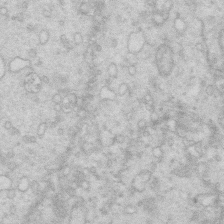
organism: Mouse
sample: Multiciliated cells